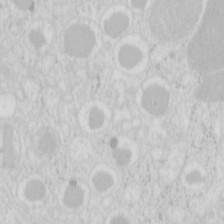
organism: Mouse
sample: Pancreas